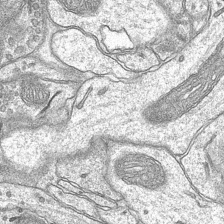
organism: Mouse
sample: CA1 Hippocampus